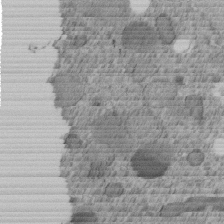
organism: C. elegans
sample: C. elegans embryo early stage